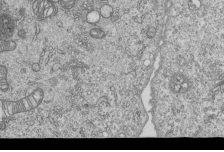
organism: Human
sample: MDA-MB-231 cells